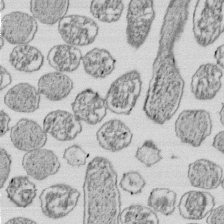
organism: E. coli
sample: Bacterial nucleoid